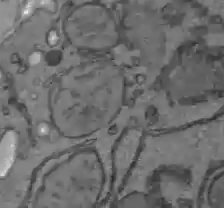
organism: C57BL Mouse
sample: Liver